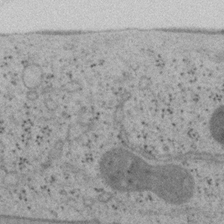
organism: Human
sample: HeLa cells